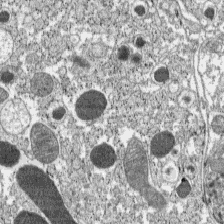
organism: C57BL Mouse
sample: Pancreatic islet